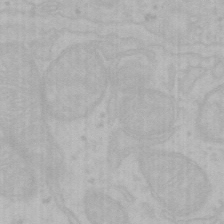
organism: Mouse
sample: Choroid plexus